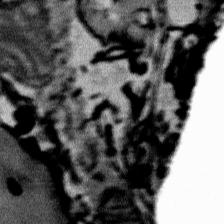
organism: Mouse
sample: Mouse Salivary gland